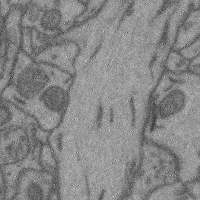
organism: Mouse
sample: Cerebral cortex